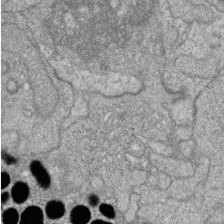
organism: Zebrafish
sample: Cilia; retinal pigment epithelium